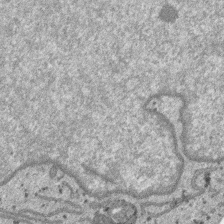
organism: Human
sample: Lung epithelial cells infected with SARS-CoV-2